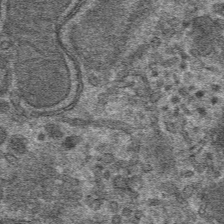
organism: Mouse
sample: Mouse hepatocytes